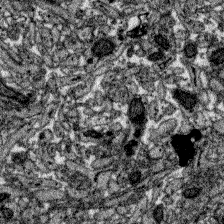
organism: Zebrafish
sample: Larval olfactory bulb